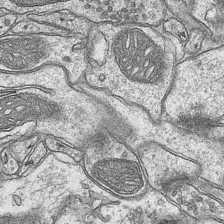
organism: Mouse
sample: CA1 Hippocampus